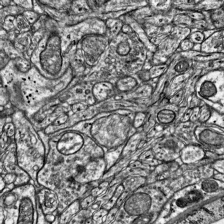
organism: Mouse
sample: Visual Cortex